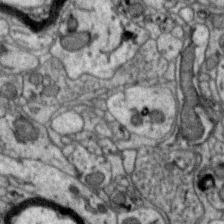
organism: Zebra finch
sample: Brain